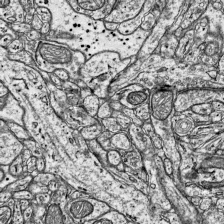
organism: Mouse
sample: Visual Cortex